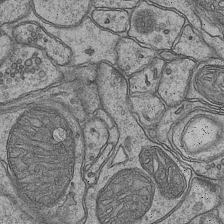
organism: Mouse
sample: CA1 Hippocampus